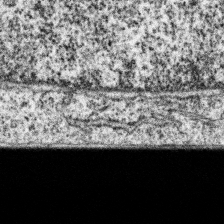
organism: Human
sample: HeLa cells